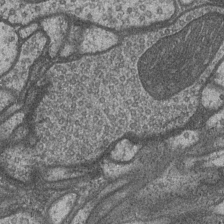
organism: Drosophila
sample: Optic medulla